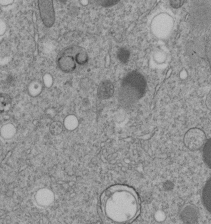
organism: C. elegans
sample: C. elegans embryo early stage